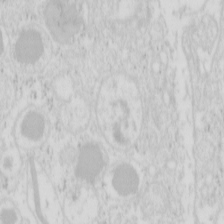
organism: Mouse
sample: Pancreas